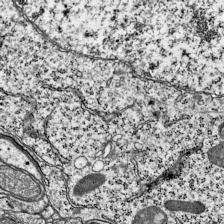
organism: Mouse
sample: Visual Cortex